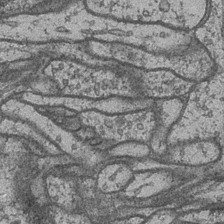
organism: Drosophila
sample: Optic medulla